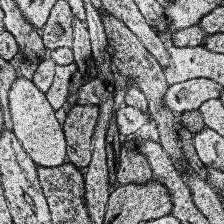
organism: Human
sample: Temporal Lobe